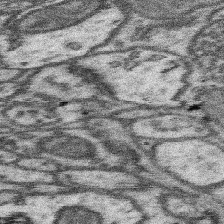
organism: Mouse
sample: Somatosensory cortex neuropil